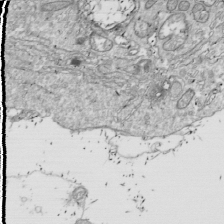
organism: Drosophila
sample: Cell division; meiosis; drosophila spermatocytes